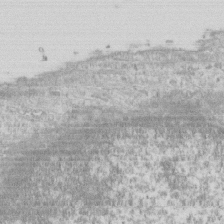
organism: Human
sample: CRL-1474